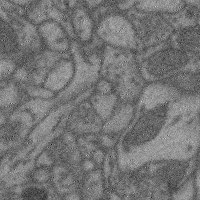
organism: Mouse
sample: Cerebral cortex